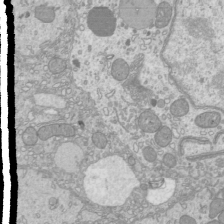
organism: Mouse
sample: Cilia; mouse epididymis